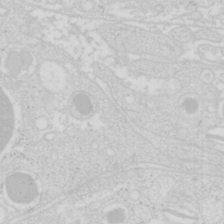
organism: Mouse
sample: Pancreas